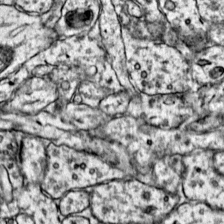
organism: Mouse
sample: Primary visual cortex